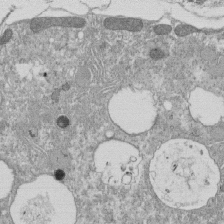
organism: Tetrahymena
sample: Cilia in tetrahymena